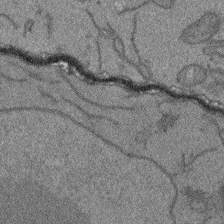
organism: Arabidopsis thaliana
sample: Root tip